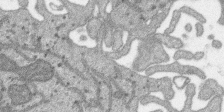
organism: Human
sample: Lung epithelial cells infected with SARS-CoV-2